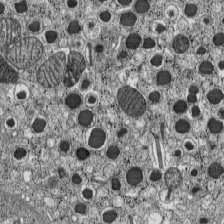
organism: C57BL Mouse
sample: Pancreatic islet